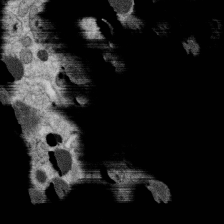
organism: C. elegans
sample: C. elegans oocyte; sperm cells